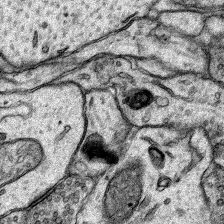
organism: Rat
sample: Hippocampus